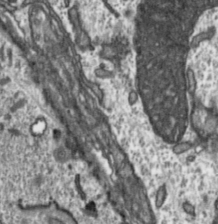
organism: Toxoplasma gondii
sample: Parasites in a vacuole inside a host cell